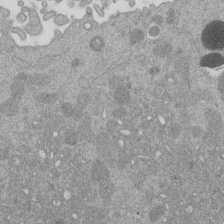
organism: Mouse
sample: Dividing mouse embryo 1 cell stage